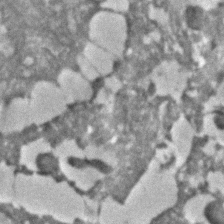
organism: C. elegans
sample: C. elegans embryo